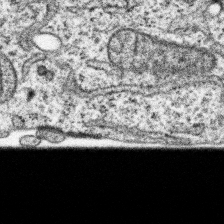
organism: Human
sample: HeLa cells